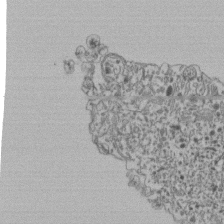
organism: Human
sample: Retinal organoid Rod and Cone cells